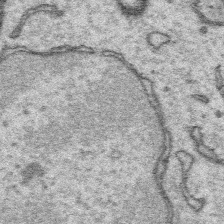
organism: Platynereis dumerilii